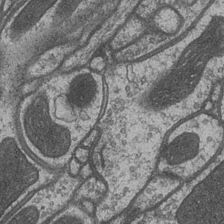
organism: Drosophila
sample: Optic medulla